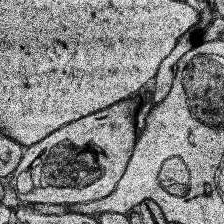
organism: Human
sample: Temporal Lobe